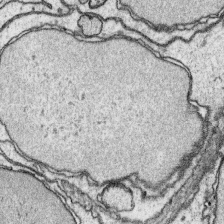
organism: Platynereis dumerilii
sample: Parapodia